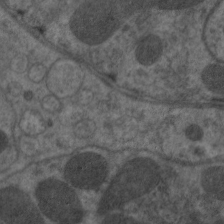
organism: C. elegans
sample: Pharynx